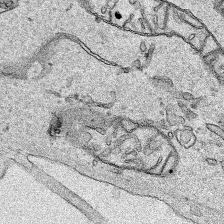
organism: Human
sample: Mitochondria in HCT116 cells